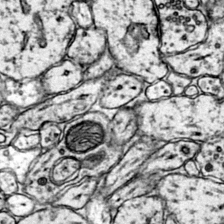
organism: Mouse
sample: Primary visual cortex